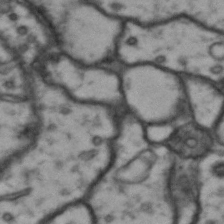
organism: Drosophila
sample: Brain